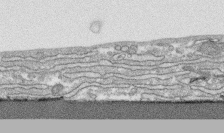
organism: Human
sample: CRL-1474